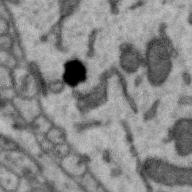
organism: Zebra finch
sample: Brain